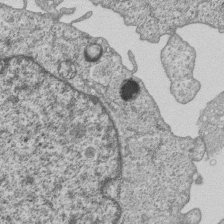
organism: Human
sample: MDA-MB-231 cells